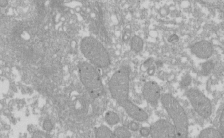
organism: Xenopus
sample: Cilia; centrioles in frog embryo cells